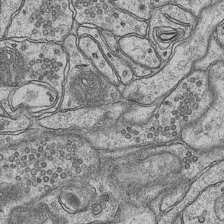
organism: Mouse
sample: CA1 Hippocampus